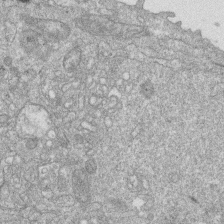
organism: Human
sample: HeLa cell HIV synapse